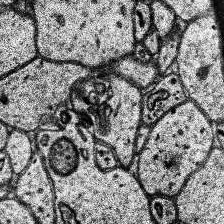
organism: Human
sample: Temporal Lobe